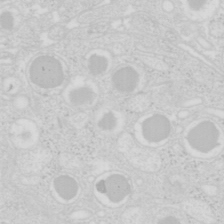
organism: Mouse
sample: Pancreas